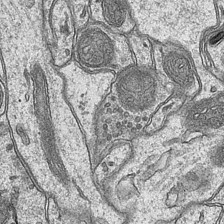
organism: Mouse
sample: CA1 Hippocampus